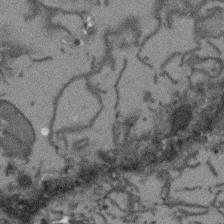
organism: Arabidopsis thaliana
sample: Root tip